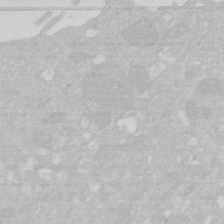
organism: Human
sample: HIV infected U937 cells